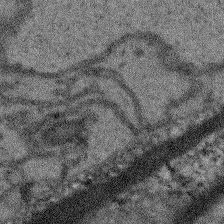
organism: Arabidopsis thaliana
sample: Root tip